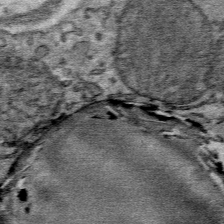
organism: Mouse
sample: Mouse Salivary gland